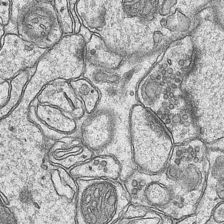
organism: Mouse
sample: CA1 Hippocampus